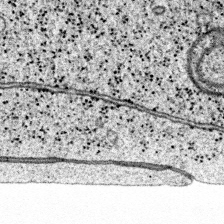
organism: Human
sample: HeLa cells